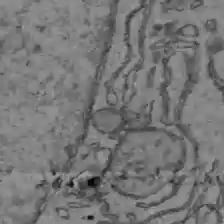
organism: C57BL Mouse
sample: Liver